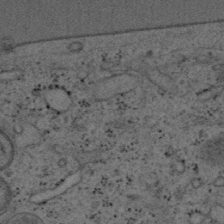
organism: Human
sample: HeLa cells